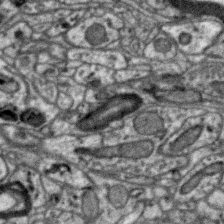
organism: Zebra finch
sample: Brain